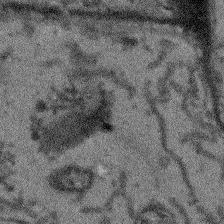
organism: Arabidopsis thaliana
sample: Root tip